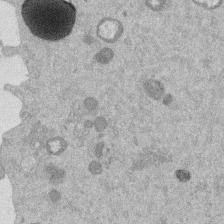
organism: Mouse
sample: Dividing mouse embryo 1 cell stage